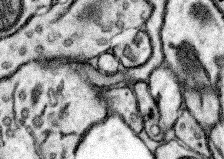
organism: Mouse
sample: Somatosensory cortex neuropil